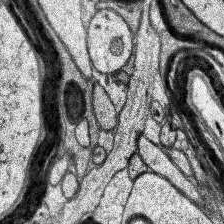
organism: Human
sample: Temporal Lobe